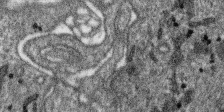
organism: Human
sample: Lung epithelial cells infected with SARS-CoV-2